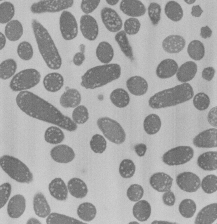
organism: E. coli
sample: Bacterial nucleoid